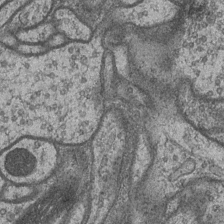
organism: Drosophila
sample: Optic medulla